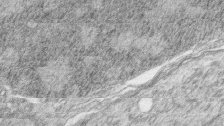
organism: Zebrafish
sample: synaptic ribbons in rod cells and cone cells